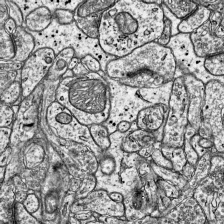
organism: Mouse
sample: Visual Cortex